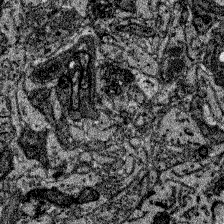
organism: Zebrafish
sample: Larval olfactory bulb